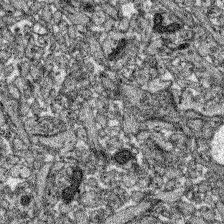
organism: Zebrafish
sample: Larval olfactory bulb